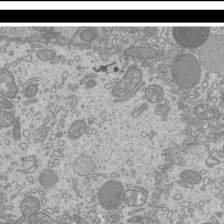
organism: Mouse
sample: Cilia; mouse epididymis